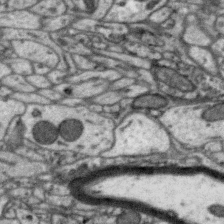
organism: Zebra finch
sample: Brain